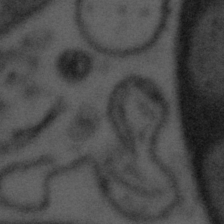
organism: Tuwongella immobilis